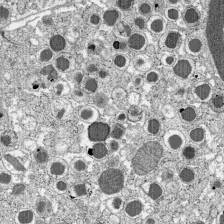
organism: C57BL Mouse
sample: Pancreatic islet